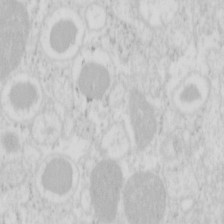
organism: Mouse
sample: Pancreas